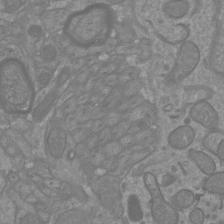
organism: Mouse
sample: Cortical neurons